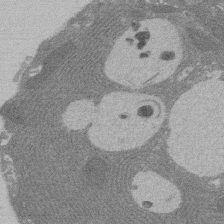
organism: Rat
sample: Salivary granule